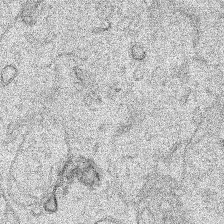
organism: Human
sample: Mitochondria in HCT116 cells